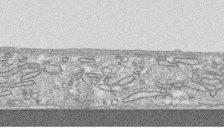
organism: Human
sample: CRL-1474